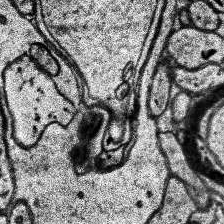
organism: Human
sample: Temporal Lobe